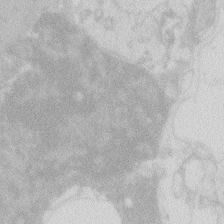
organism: Zebrafish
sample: Macrophage